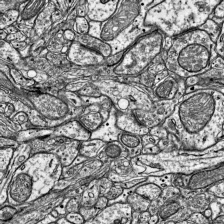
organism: Mouse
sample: Visual Cortex